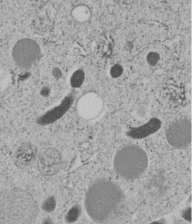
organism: C. elegans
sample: C. elegans embryo early stage